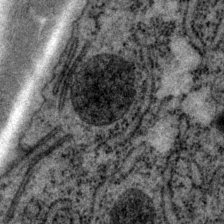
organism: P. pacificus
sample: Pharynx